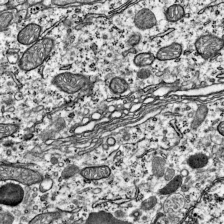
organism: Mouse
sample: Visual Cortex